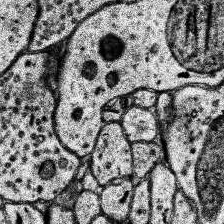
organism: Human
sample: Temporal Lobe